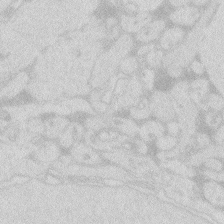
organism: Zebrafish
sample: Macrophage